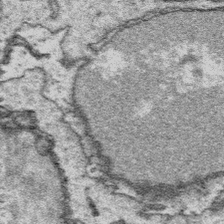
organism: Platynereis dumerilii